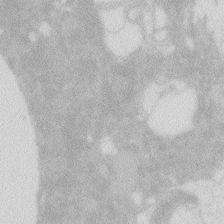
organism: Zebrafish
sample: Macrophage